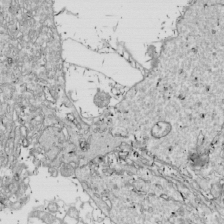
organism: Drosophila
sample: Cell division; meiosis; drosophila spermatocytes